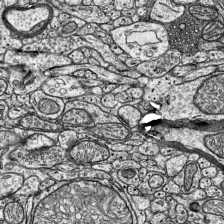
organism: Mouse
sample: Visual Cortex